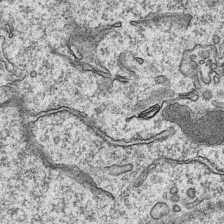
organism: Mouse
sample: CA1 Hippocampus